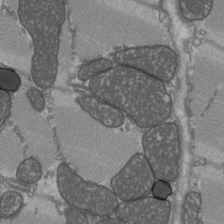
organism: C57BL Mouse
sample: Heart